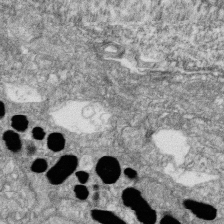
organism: Zebrafish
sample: Cilia; retinal pigment epithelium